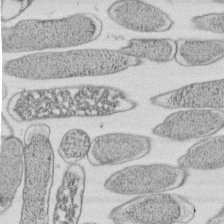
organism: E. coli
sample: Bacterial nucleoid